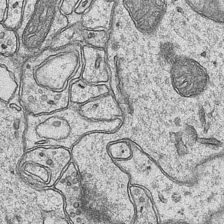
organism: Mouse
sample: CA1 Hippocampus